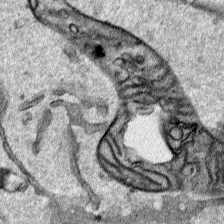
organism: Human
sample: Mitochondria in HCT116 cells